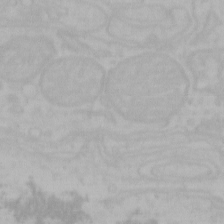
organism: Mouse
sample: Choroid plexus